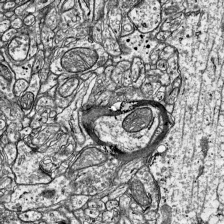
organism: Mouse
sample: Visual Cortex